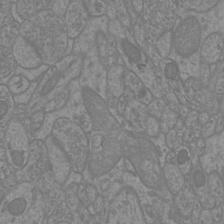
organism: Mouse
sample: Cortical neurons